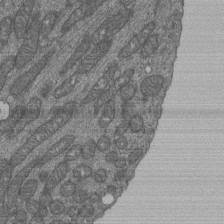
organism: Human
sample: Retinal organoid Rod and Cone cells